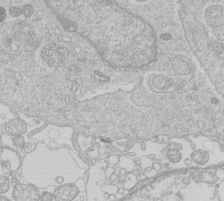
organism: Human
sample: Macrophage cells